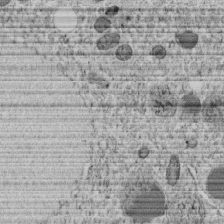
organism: C. elegans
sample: C. elegans embryo early stage